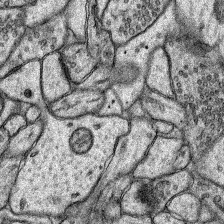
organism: Rat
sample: Hippocampus